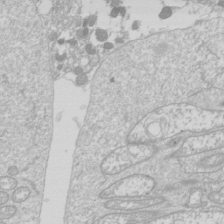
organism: Drosophila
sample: Cell division; meiosis; drosophila spermatocytes